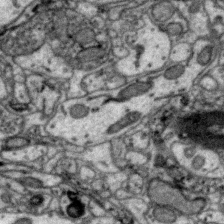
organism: Zebra finch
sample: Brain